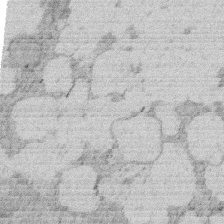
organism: Rat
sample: Salivary granule